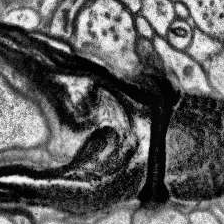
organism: Human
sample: Temporal Lobe